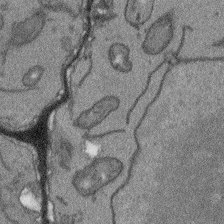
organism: Arabidopsis thaliana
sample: Root tip